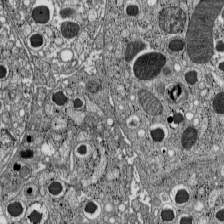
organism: C57BL Mouse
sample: Pancreatic islet